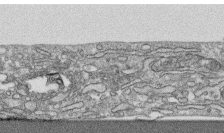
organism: Human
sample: CRL-1474